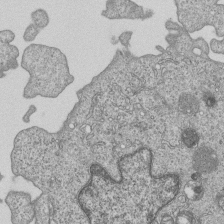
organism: Human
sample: MDA-MB-231 cells